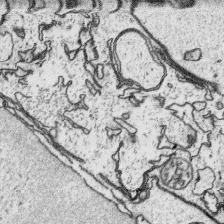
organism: Platynereis dumerilii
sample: Parapodia